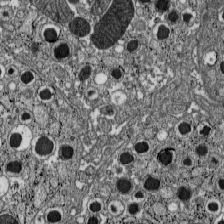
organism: C57BL Mouse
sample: Pancreatic islet